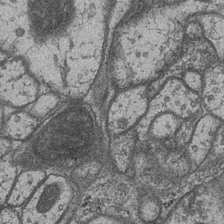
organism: Drosophila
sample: Optic medulla